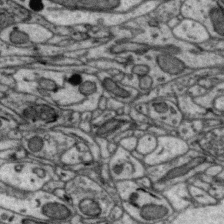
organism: Zebra finch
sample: Brain